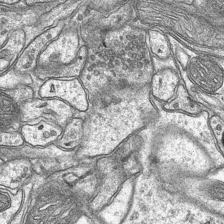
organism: Mouse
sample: CA1 Hippocampus